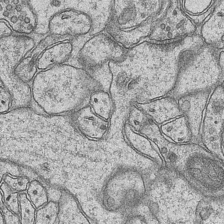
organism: Mouse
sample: CA1 Hippocampus